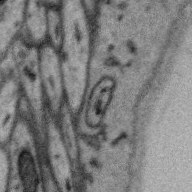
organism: Zebra finch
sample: Brain